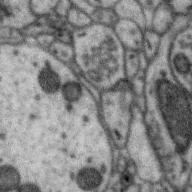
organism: Zebra finch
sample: Brain